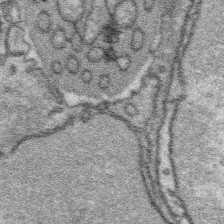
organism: Platynereis dumerilii